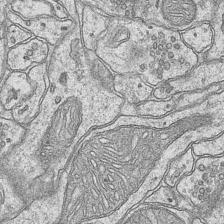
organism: Mouse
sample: CA1 Hippocampus